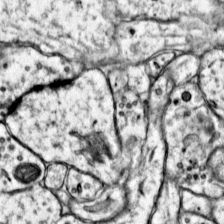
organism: Mouse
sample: Primary visual cortex